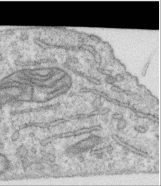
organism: Human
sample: Centriole in RPE cells